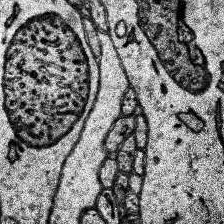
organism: Human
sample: Temporal Lobe